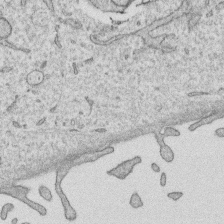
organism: Human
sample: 1205lu cells